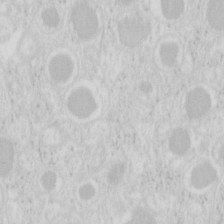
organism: Mouse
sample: Pancreas